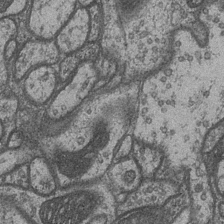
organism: Drosophila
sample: Optic medulla